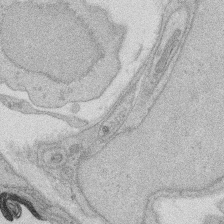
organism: Rat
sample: Salivary granule